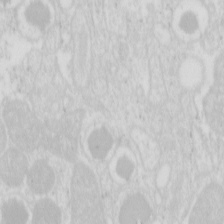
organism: Mouse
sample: Pancreas